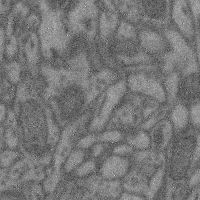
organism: Mouse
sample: Cerebral cortex